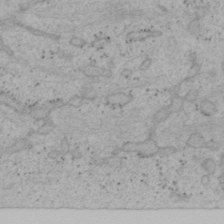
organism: Human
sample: HeLa cells